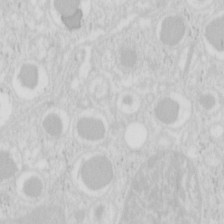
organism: Mouse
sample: Pancreas